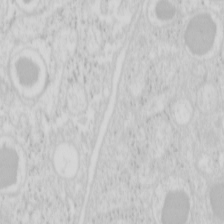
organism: Mouse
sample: Pancreas